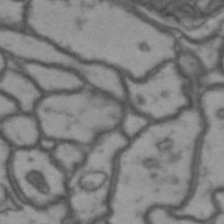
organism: Drosophila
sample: Brain